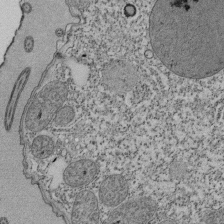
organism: Tetrahymena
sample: Cilia in tetrahymena